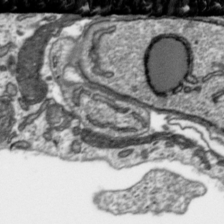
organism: Toxoplasma gondii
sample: Parasites in a vacuole inside a host cell